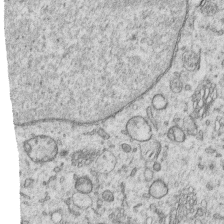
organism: Human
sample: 1205lu cells